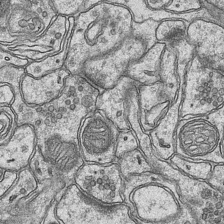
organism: Mouse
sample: CA1 Hippocampus